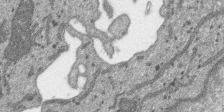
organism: Human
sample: Lung epithelial cells infected with SARS-CoV-2